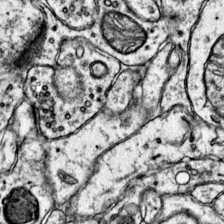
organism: Mouse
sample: Primary visual cortex